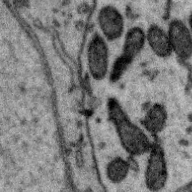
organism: Zebra finch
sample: Brain